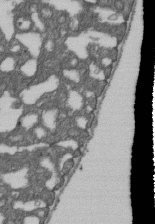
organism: Drosophila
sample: Nephrocyte